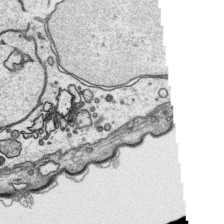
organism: Platynereis dumerilii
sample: Parapodia